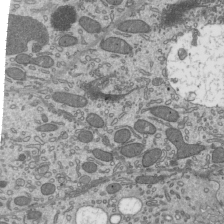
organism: Mouse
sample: Mouse epididymis efferent ductule cilia